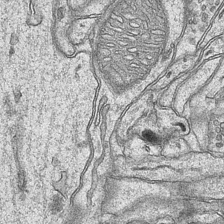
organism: Mouse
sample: CA1 Hippocampus